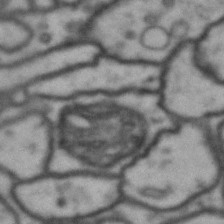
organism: Drosophila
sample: Brain